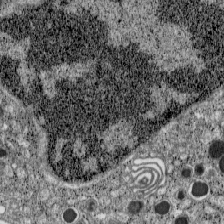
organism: C57BL Mouse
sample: Pancreatic islet